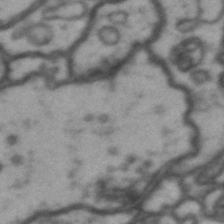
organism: Drosophila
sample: Brain